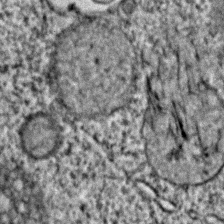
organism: C. elegans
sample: C. elegans embryo